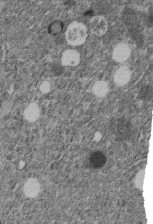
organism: C. elegans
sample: C. elegans embryo early stage